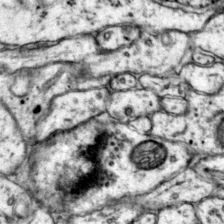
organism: Mouse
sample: Primary visual cortex